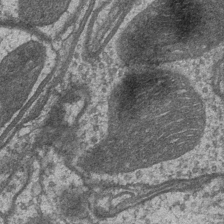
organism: Drosophila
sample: Optic medulla